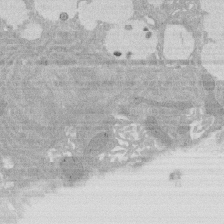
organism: Rat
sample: Salivary granule